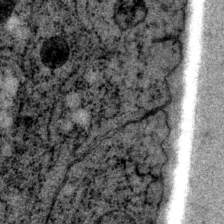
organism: P. pacificus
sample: Pharynx